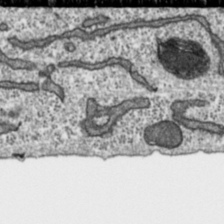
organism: Toxoplasma gondii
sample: Parasites in a vacuole inside a host cell